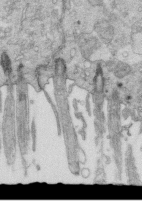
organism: Mouse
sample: Multiciliated cells